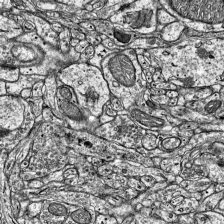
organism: Mouse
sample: Visual Cortex